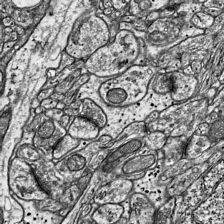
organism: Mouse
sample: Visual Cortex